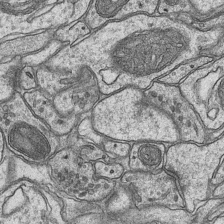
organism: Mouse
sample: CA1 Hippocampus